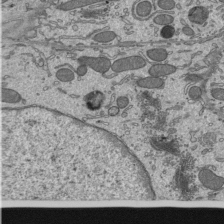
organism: Mouse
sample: Mouse epididymis efferent ductule cilia